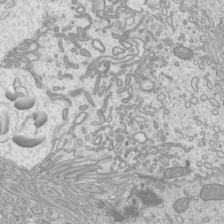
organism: Mouse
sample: Cilia; mouse epididymis